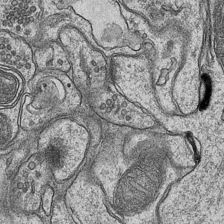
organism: Mouse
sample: CA1 Hippocampus